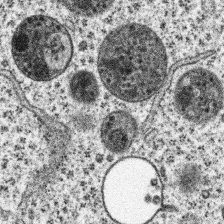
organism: Human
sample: HeLa cells